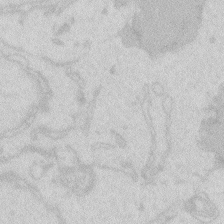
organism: Zebrafish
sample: Macrophage